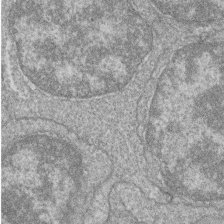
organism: Zebrafish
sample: Cilia; retinal pigment epithelium